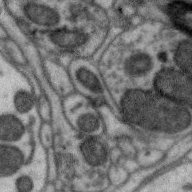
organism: Zebra finch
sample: Brain